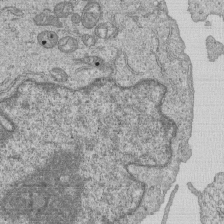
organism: Human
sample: MDA-MB-231 cells